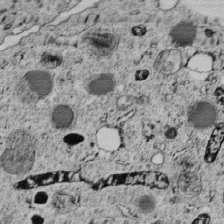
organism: C. elegans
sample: C. elegans embryo early stage